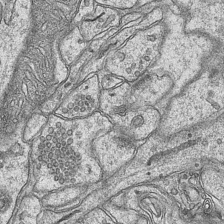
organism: Mouse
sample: CA1 Hippocampus